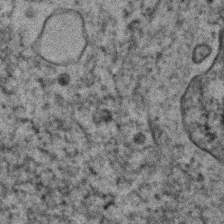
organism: Human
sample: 1205lu cells